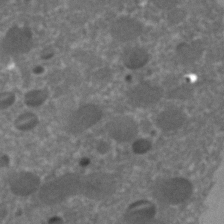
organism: C. elegans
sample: C. elegans embryo